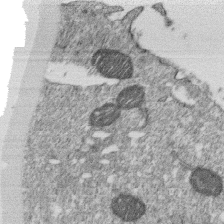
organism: African green monkey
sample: Vero E6 cells infected with SARS-CoV-2